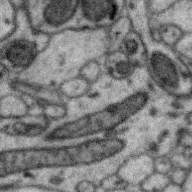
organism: Zebra finch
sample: Brain